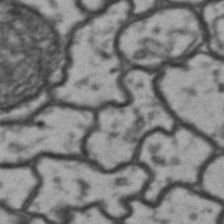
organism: Drosophila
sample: Brain